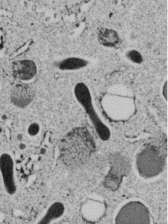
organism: C. elegans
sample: C. elegans embryo early stage